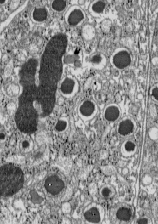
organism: C57BL Mouse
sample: Pancreatic islet